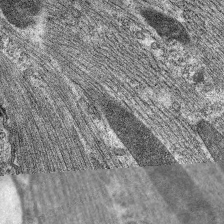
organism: C. elegans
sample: Pharynx